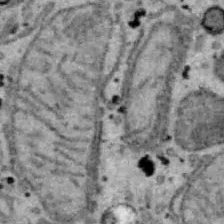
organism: Mouse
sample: Liver from an obese (ob/ob) mouse